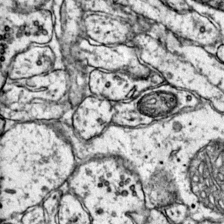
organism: Mouse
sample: Primary visual cortex